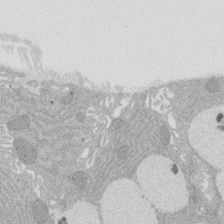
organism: Rat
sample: Salivary granule